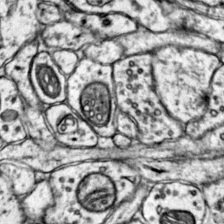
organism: Mouse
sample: Primary visual cortex